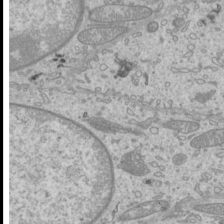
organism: Mouse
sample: Cilia; mouse epididymis